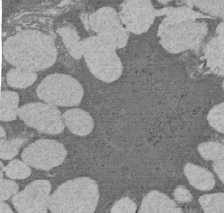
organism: Rat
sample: Salivary granule